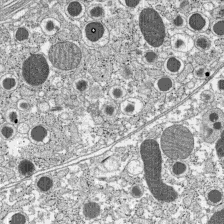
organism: C57BL Mouse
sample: Pancreatic islet